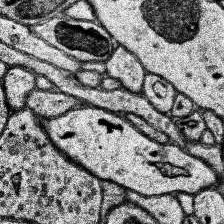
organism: Human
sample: Temporal Lobe